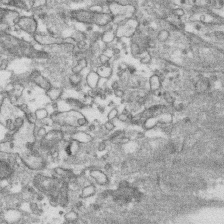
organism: Human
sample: CRL-1474